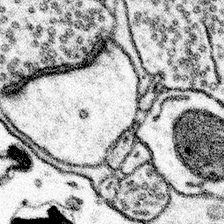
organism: Mouse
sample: Somatosensory cortex neuropil